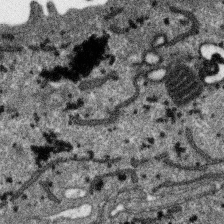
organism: Human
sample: Lung epithelial cells infected with SARS-CoV-2